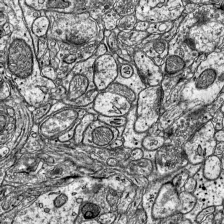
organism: Mouse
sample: Visual Cortex